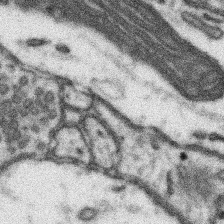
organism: Mouse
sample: Somatosensory cortex neuropil